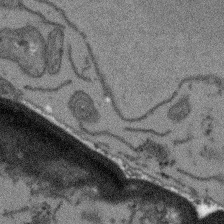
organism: Arabidopsis thaliana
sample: Root tip